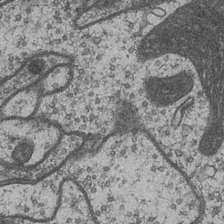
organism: Drosophila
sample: Optic medulla